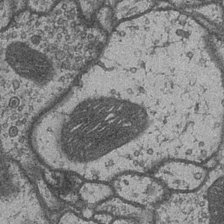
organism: Drosophila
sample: Optic medulla